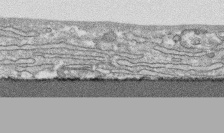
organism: Human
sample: CRL-1474